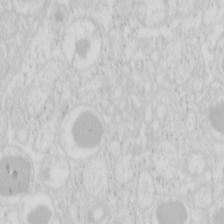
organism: Mouse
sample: Pancreas